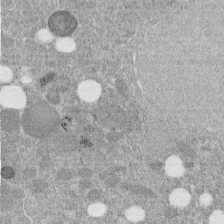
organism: C. elegans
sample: C. elegans embryo early stage